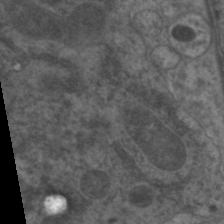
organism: C. elegans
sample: Pharynx